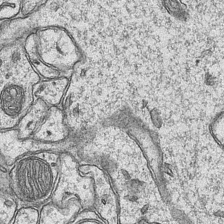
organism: Mouse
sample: CA1 Hippocampus